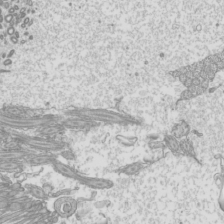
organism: Mouse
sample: Cilia; mouse epididymis